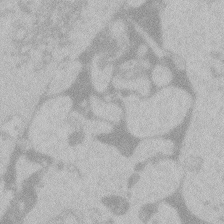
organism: Zebrafish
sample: Macrophage infected with Toxoplasma gondii